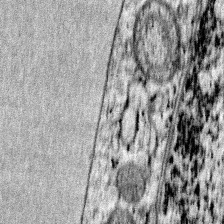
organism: Human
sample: HeLa cells